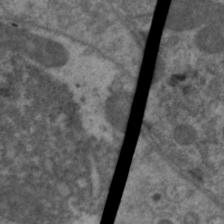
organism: C. elegans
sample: Pharynx